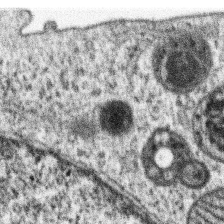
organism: Human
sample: HeLa cells